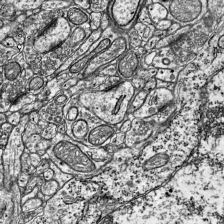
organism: Mouse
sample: Visual Cortex